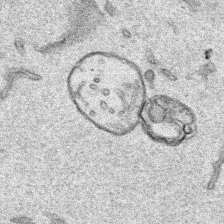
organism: Human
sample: Mitochondria in HCT116 cells